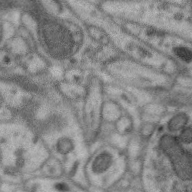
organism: Zebra finch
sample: Brain